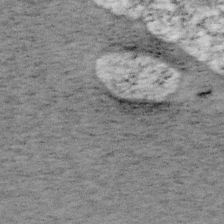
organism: Mouse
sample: OT-I killer T cells with ID8 ovarian cancer cells